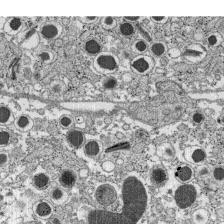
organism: C57BL Mouse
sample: Pancreatic islet